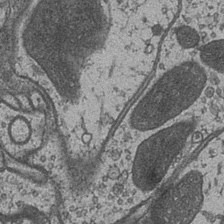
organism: Drosophila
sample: Optic medulla